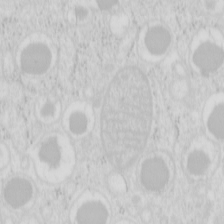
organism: Mouse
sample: Pancreas